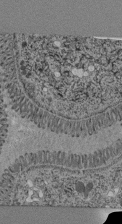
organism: C. elegans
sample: C. elegans pharynx